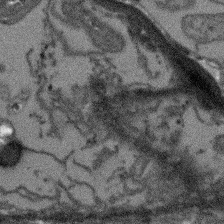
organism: Arabidopsis thaliana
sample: Root tip